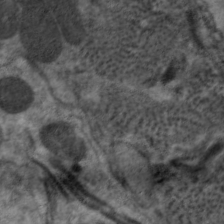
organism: C. elegans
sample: Pharynx